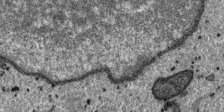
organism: Human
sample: Lung epithelial cells, uninfected (mock) control